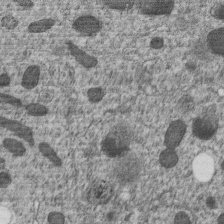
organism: C. elegans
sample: C. elegans embryo early stage